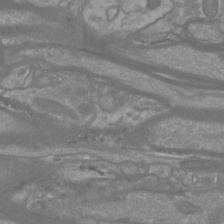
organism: Mouse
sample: Cortical neurons